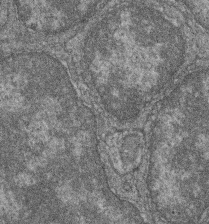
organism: Zebrafish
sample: Cilia; retinal pigment epithelium